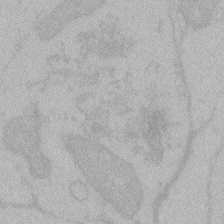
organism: Zebrafish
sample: Macrophage infected with Toxoplasma gondii